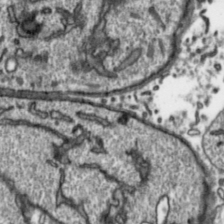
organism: Toxoplasma gondii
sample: Parasites in a vacuole inside a host cell